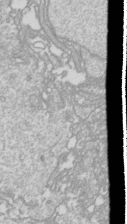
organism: Drosophila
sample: Cell division; meiosis; drosophila spermatocytes